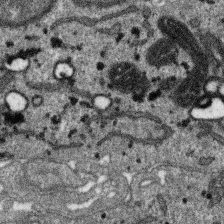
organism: Human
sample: Lung epithelial cells infected with SARS-CoV-2